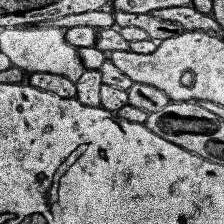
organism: Human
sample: Temporal Lobe